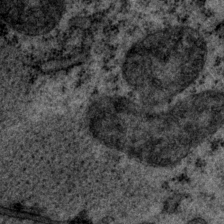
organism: P. pacificus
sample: Pharynx